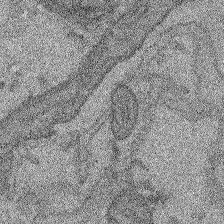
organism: Human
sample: HeLa cells